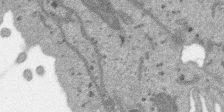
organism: Human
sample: Lung epithelial cells infected with SARS-CoV-2